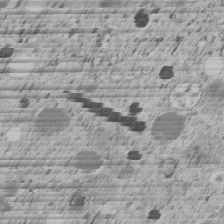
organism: C. elegans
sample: C. elegans embryo early stage